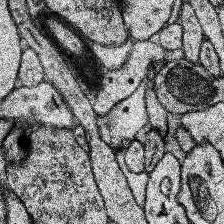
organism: Human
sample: Temporal Lobe